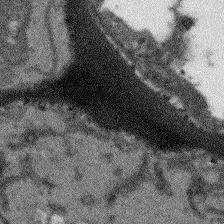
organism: Arabidopsis thaliana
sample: Root tip